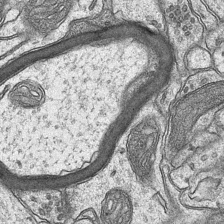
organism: Mouse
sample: CA1 Hippocampus